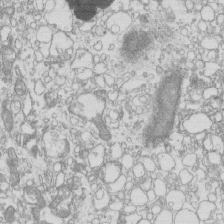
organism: Mouse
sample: Macrophages